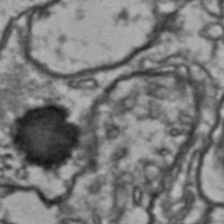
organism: Drosophila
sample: Brain